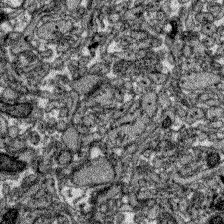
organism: Zebrafish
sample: Larval olfactory bulb